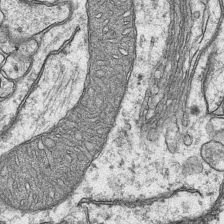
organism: Mouse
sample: CA1 Hippocampus